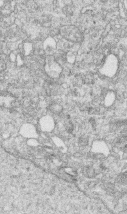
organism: Human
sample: HeLa cell HIV synapse